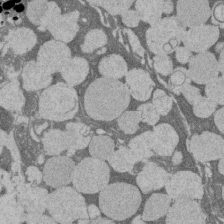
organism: Rat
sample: Salivary granule